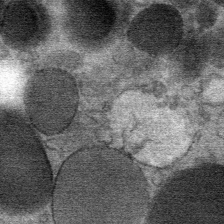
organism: Mouse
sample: Mouse Salivary gland